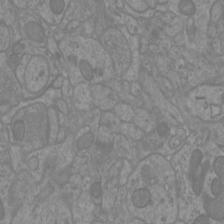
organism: Mouse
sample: Cortical neurons